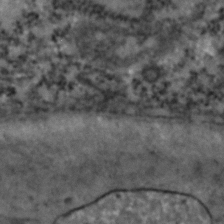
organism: Zebrafish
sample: Zebrafish embryo